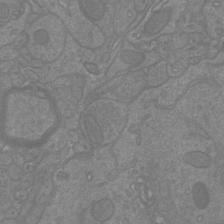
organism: Mouse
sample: Cortical neurons